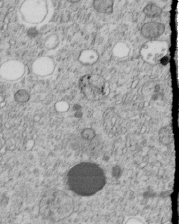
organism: C. elegans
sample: C. elegans embryo early stage